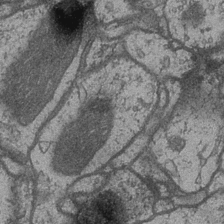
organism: Drosophila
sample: Optic medulla